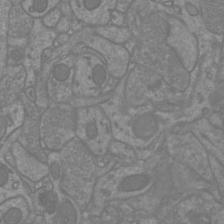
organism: Mouse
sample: Cortical neurons